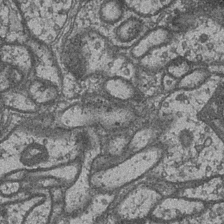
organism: Drosophila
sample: Optic medulla